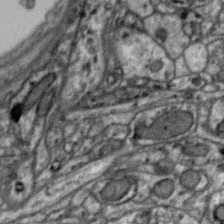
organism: Zebra finch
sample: Brain